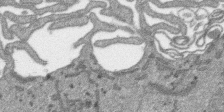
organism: Human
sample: Lung epithelial cells infected with SARS-CoV-2